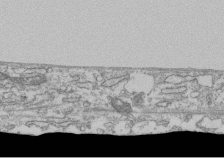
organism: Human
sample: Fibroblast cells